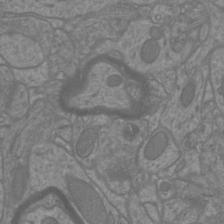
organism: Mouse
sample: Cortical neurons